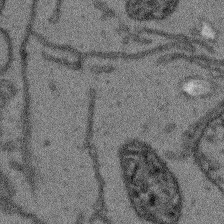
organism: Arabidopsis thaliana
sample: Root tip